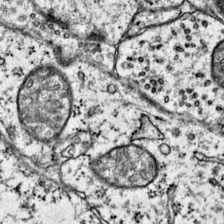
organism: Mouse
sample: Primary visual cortex